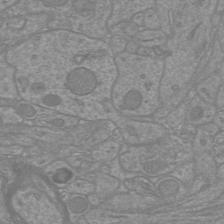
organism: Mouse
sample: Cortical neurons